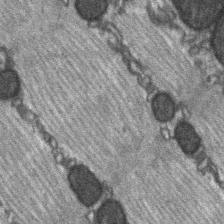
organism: C57BL Mouse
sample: Soleus